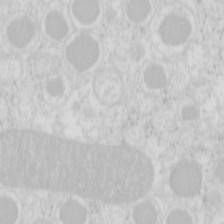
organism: Mouse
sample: Pancreas